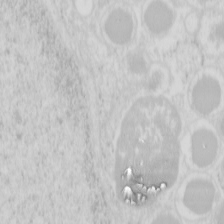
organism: Mouse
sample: Pancreas